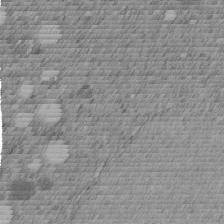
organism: C. elegans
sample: C. elegans embryo early stage